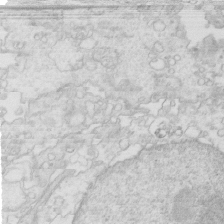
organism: Mouse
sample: Multiciliated cells